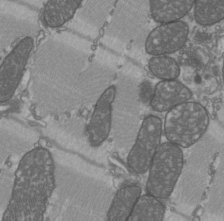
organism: C57BL Mouse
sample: Heart